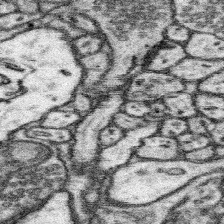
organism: Mouse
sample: Somatosensory cortex neuropil